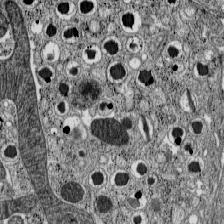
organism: C57BL Mouse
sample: Pancreatic islet